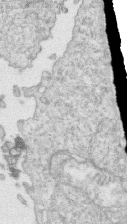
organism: Human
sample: HeLa cell HIV synapse